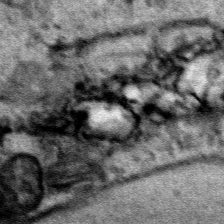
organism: Human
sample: Mitochondria in HCT116 cells